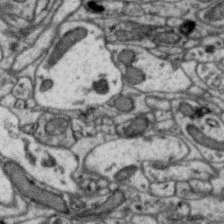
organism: Zebra finch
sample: Brain